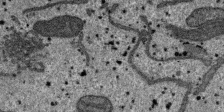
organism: Human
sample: Lung epithelial cells, uninfected (mock) control